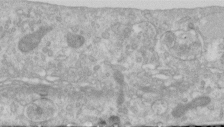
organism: Human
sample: Centriole in RPE cells